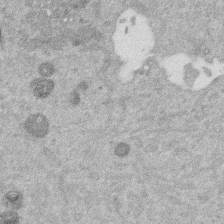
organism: Mouse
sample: Dividing mouse embryo 1 cell stage